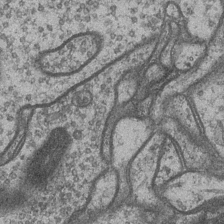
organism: Drosophila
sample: Optic medulla